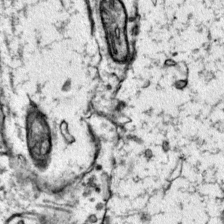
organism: Mouse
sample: Primary visual cortex